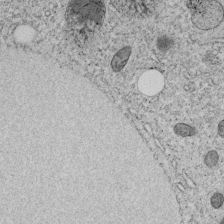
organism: C. elegans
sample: C. elegans embryo early stage